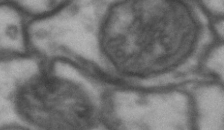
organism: Drosophila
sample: Brain